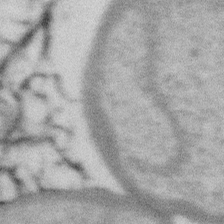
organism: Gemmata obscuriglobus